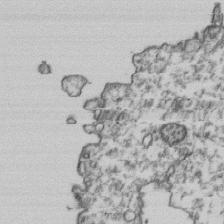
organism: Human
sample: Activated Jurkat CD4+ T cells